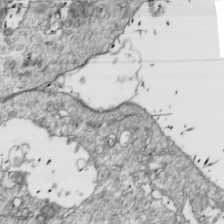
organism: Drosophila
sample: Cell division; meiosis; drosophila spermatocytes